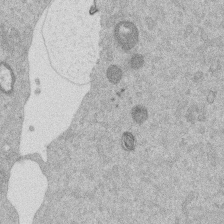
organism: Mouse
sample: Dividing mouse embryo 1 cell stage